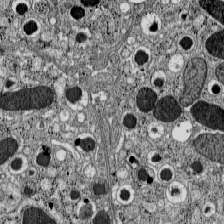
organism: C57BL Mouse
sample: Pancreatic islet